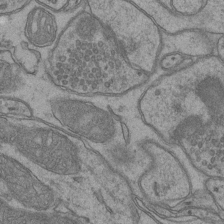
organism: Mouse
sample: CA1 Hippocampus